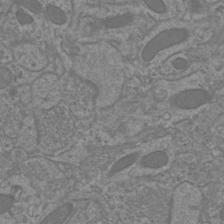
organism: Mouse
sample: Cortical neurons